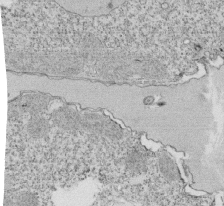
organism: Tetrahymena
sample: Cilia in tetrahymena